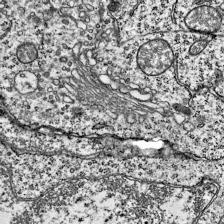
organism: Mouse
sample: Visual Cortex